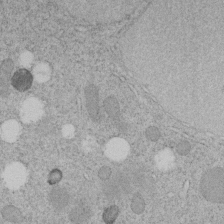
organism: C. elegans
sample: C. elegans embryo early stage